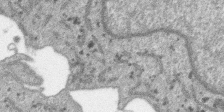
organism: Human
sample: Lung epithelial cells infected with SARS-CoV-2